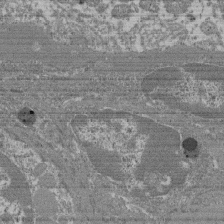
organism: Mouse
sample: Glomerulus